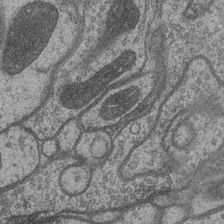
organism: Drosophila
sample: Optic medulla